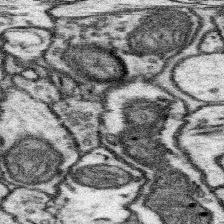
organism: Mouse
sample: Somatosensory cortex neuropil